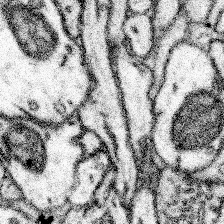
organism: Mouse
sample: Somatosensory cortex neuropil